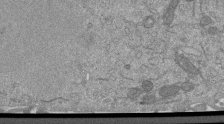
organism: Mouse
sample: ED-1 cell nuclei; centrioles